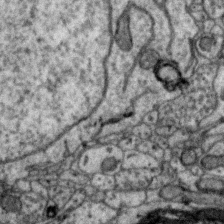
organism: Zebra finch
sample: Brain